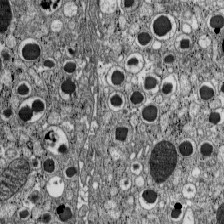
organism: C57BL Mouse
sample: Pancreatic islet